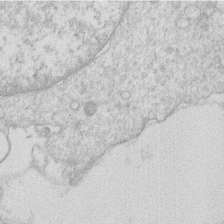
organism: Human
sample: Macrophage cells